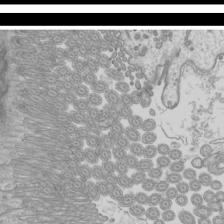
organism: Mouse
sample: Cilia; mouse epididymis